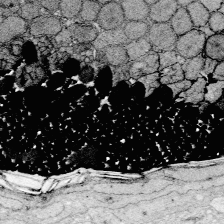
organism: Zebrafish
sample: Whole-Brain